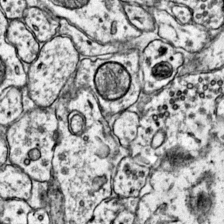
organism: Mouse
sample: Primary visual cortex